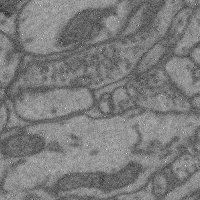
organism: Mouse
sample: Cerebral cortex